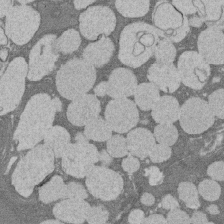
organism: Rat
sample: Salivary granule